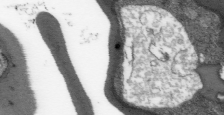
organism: Plasmodium falciparum